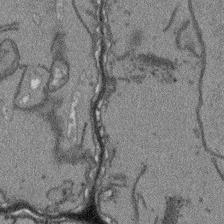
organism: Arabidopsis thaliana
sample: Root tip